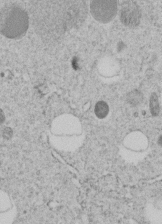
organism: C. elegans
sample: C. elegans embryo early stage